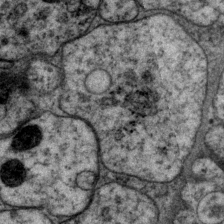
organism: P. pacificus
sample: Pharynx